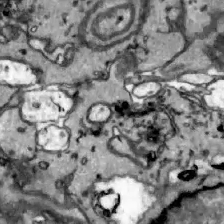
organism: Zebrafish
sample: Actinotrichia fibers